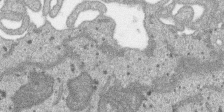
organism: Human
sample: Lung epithelial cells infected with SARS-CoV-2